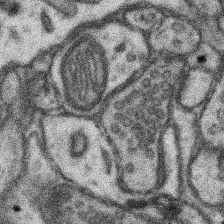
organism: Mouse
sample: Somatosensory cortex neuropil